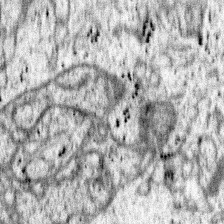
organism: Human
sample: HeLa cells